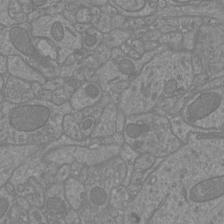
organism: Mouse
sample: Cortical neurons